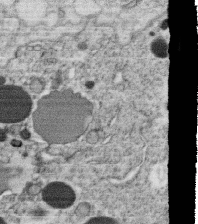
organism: C. elegans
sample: C. elegans oocyte; sperm cells